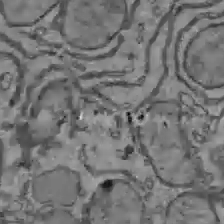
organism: C57BL Mouse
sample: Liver